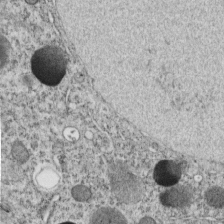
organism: C. elegans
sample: C. elegans embryo early stage